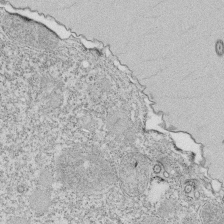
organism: Tetrahymena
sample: Cilia in tetrahymena